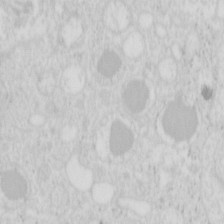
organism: Mouse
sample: Pancreas